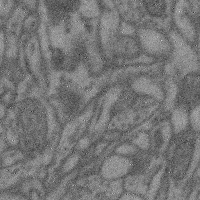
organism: Mouse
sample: Cerebral cortex